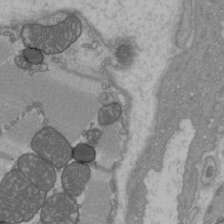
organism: C57BL Mouse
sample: Heart